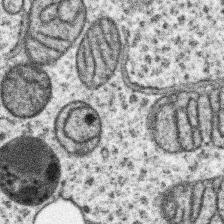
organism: Human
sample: HeLa cells